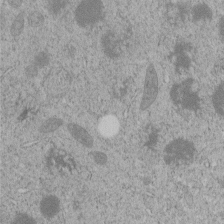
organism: C. elegans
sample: C. elegans embryo early stage